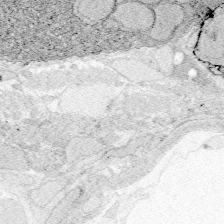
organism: Zebrafish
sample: Whole-Brain